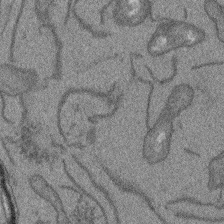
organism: Arabidopsis thaliana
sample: Root tip